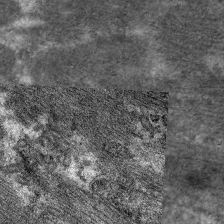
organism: C. elegans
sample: Pharynx